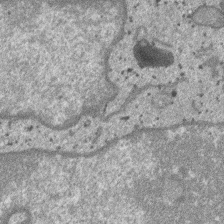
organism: Human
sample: Lung epithelial cells infected with SARS-CoV-2